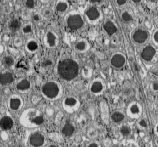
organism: C57BL Mouse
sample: Pancreatic islet